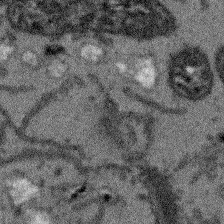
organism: Arabidopsis thaliana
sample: Root tip